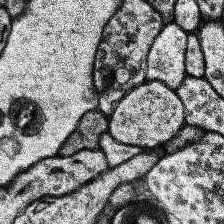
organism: Human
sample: Temporal Lobe